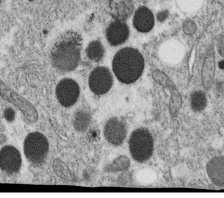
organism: C. elegans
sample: C. elegans oocyte; sperm cells